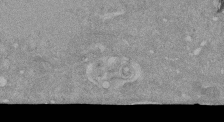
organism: Mouse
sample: ED-1 cell nuclei; centrioles